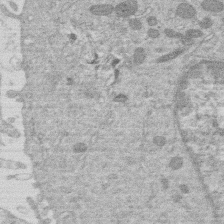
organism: Human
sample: Macrophage cells